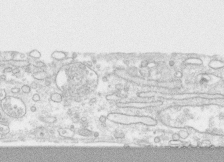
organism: Human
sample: CRL-1474